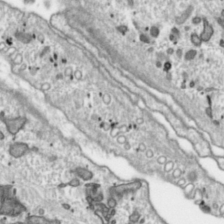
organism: Toxoplasma gondii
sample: Parasites in a vacuole inside a host cell